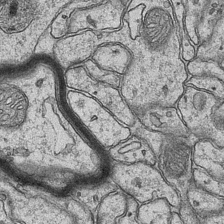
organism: Mouse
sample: CA1 Hippocampus